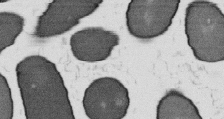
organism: B. subtilis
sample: Bacterial spore